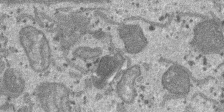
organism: Human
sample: Lung epithelial cells infected with SARS-CoV-2